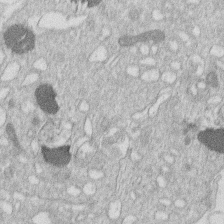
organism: Human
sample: Macrophage cells